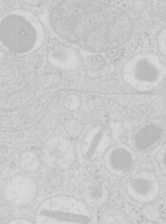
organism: Mouse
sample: Pancreas